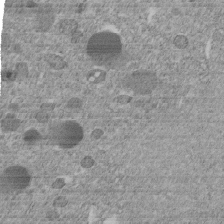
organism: C. elegans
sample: C. elegans embryo early stage